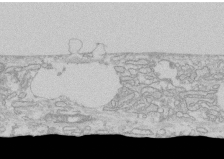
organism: Human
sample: CRL-1474